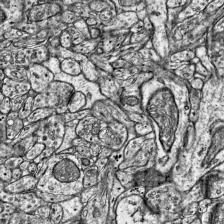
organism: Mouse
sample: Visual Cortex